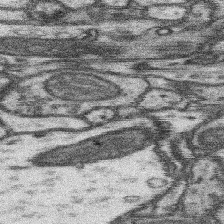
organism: Mouse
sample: Somatosensory cortex neuropil